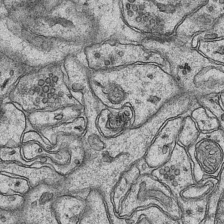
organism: Mouse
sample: CA1 Hippocampus